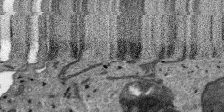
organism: Human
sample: Lung epithelial cells, uninfected (mock) control